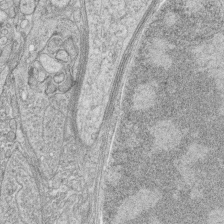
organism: Zebrafish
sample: synaptic ribbons in rod cells and cone cells